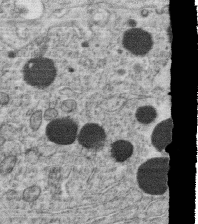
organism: C. elegans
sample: C. elegans oocyte; sperm cells